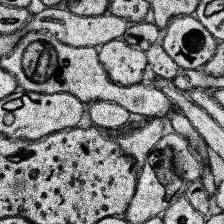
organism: Human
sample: Temporal Lobe